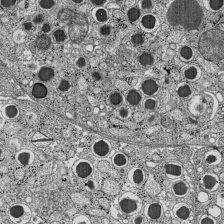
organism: C57BL Mouse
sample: Pancreatic islet